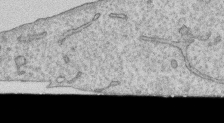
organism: Human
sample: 1205lu cells